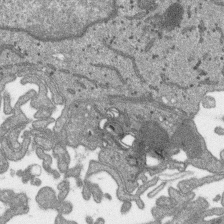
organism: Human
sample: Lung epithelial cells infected with SARS-CoV-2